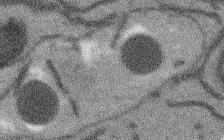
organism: Arabidopsis thaliana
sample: Root tip